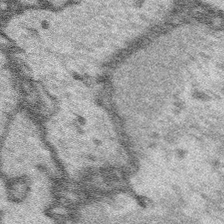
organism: Platynereis dumerilii